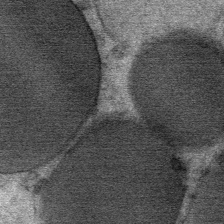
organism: Mouse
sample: Mouse Salivary gland